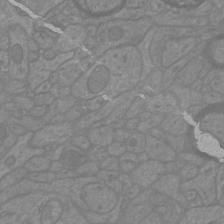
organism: Mouse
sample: Cortical neurons